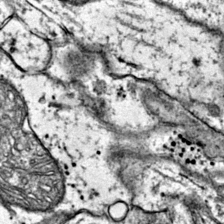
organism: Mouse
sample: Primary visual cortex